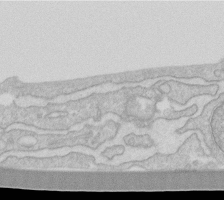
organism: Human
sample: Fibroblast cells